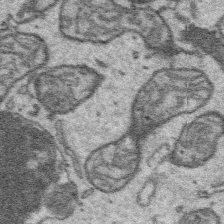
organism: Platynereis dumerilii